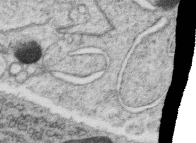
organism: C. elegans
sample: C. elegans oocyte; sperm cells